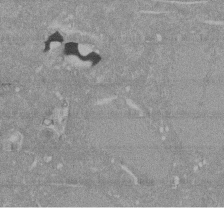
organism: Mouse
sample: ED-1 cell nuclei; centrioles